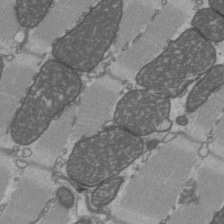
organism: C57BL Mouse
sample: Heart